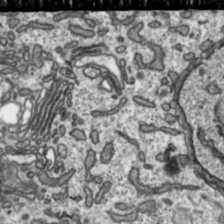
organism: Toxoplasma gondii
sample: Parasites in a vacuole inside a host cell